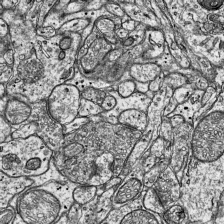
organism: Mouse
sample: Visual Cortex